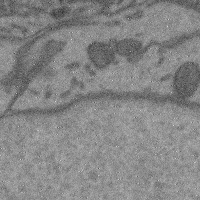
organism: Mouse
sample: Cerebral cortex